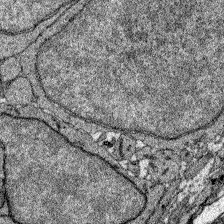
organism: Zebrafish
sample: Larval olfactory bulb